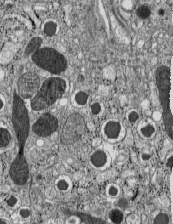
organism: C57BL Mouse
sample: Pancreatic islet